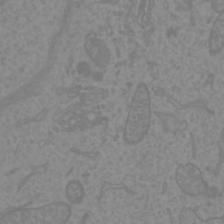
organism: Mouse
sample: Cortical neurons